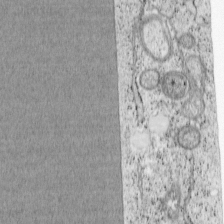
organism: African green monkey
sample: COS-7 cells